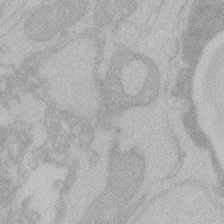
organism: Zebrafish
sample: Macrophage infected with Toxoplasma gondii